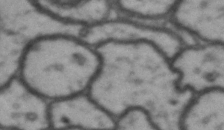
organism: Drosophila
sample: Brain